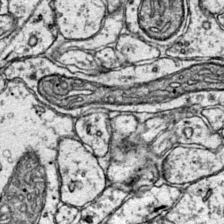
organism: Mouse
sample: Primary visual cortex